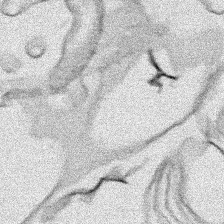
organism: Human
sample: Mitochondria in HCT116 cells